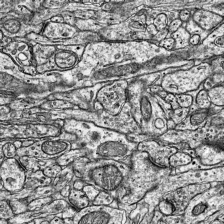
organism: Mouse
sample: Visual Cortex